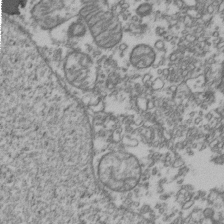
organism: Human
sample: Activated Jurkat CD4+ T cells